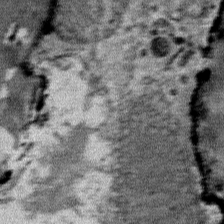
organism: Mouse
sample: Mouse Salivary gland